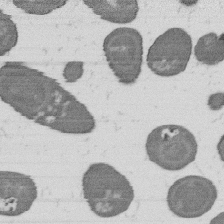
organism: B. subtilis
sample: Bacterial spore